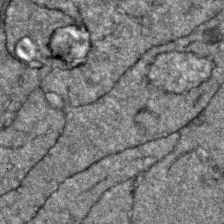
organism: Zebrafish